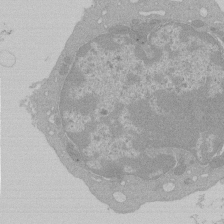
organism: Mouse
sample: Activated Pmel transgenic CD8+ T Cells